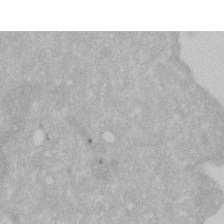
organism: Human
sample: HIV infected U937 cells